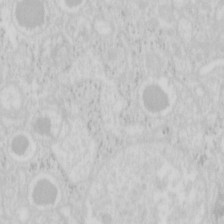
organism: Mouse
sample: Pancreas